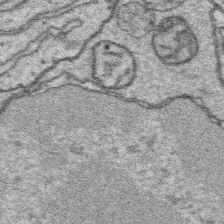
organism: Platynereis dumerilii